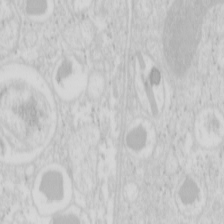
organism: Mouse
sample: Pancreas